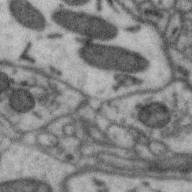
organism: Zebra finch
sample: Brain